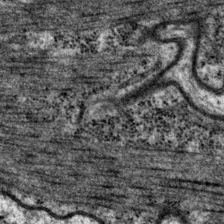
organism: P. pacificus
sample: Pharynx